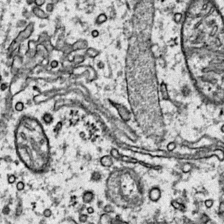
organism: Mouse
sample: Primary visual cortex